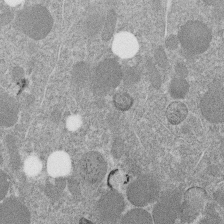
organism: C. elegans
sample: C. elegans embryo early stage